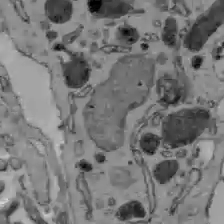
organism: C57BL Mouse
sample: Liver